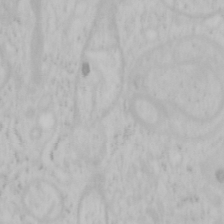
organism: Mouse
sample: OT-I killer T cells with ID8 ovarian cancer cells